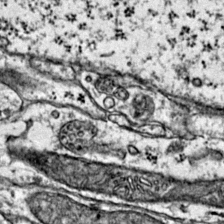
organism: Mouse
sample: Primary visual cortex